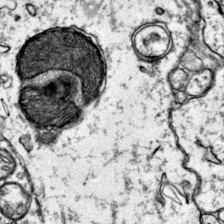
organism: Mouse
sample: Primary visual cortex